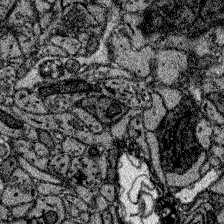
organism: Zebrafish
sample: Larval olfactory bulb